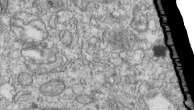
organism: Human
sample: HeLa cell HIV synapse